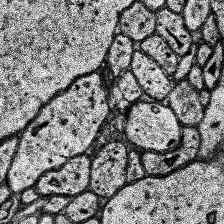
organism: Human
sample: Temporal Lobe